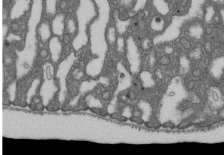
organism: Drosophila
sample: Nephrocyte